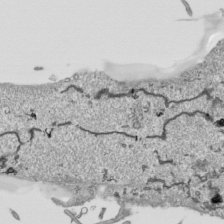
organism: Human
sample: Mitochondria in HCT116 cells